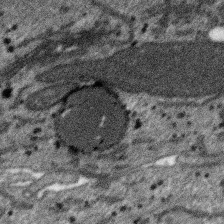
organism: Human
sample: Lung epithelial cells infected with SARS-CoV-2